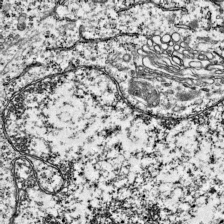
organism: Mouse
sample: Visual Cortex